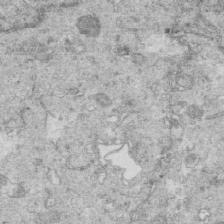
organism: Mouse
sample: Multiciliated cells